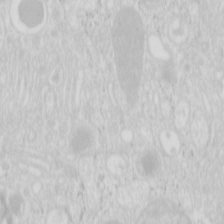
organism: Mouse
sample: Pancreas